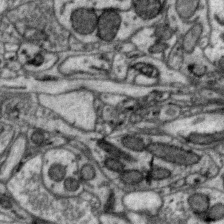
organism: Zebra finch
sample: Brain